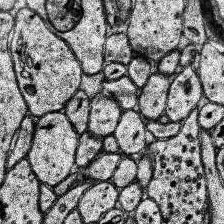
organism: Human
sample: Temporal Lobe